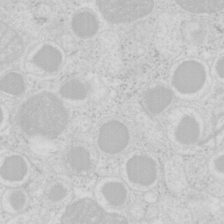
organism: Mouse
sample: Pancreas